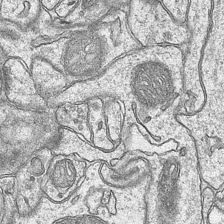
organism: Mouse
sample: CA1 Hippocampus